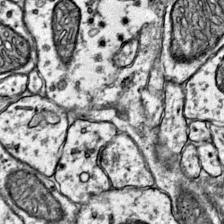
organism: Mouse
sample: Primary visual cortex